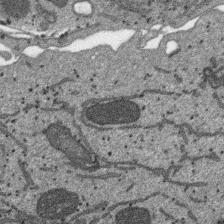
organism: Human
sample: Lung epithelial cells infected with SARS-CoV-2